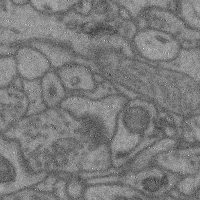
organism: Mouse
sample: Cerebral cortex